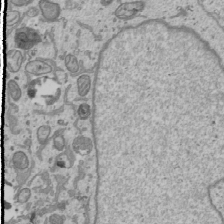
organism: Human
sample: Mitochondria in U2OS cells